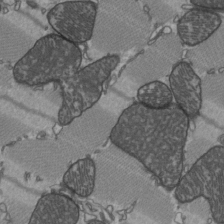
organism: C57BL Mouse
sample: Heart